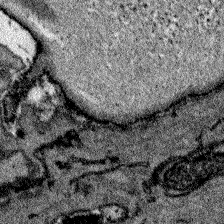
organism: Zebrafish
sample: Larval olfactory bulb